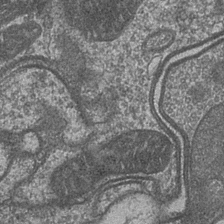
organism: Drosophila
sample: Optic medulla